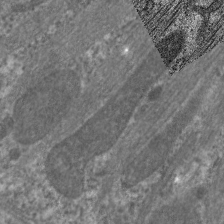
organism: C. elegans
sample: Pharynx